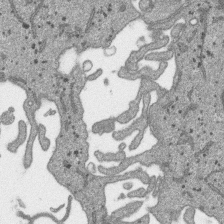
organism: Human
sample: Lung epithelial cells infected with SARS-CoV-2